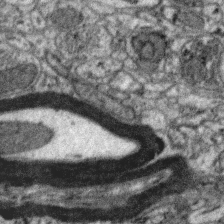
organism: Zebra finch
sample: Brain